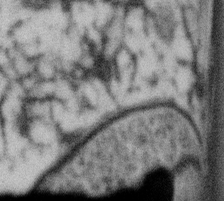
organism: Gemmata obscuriglobus